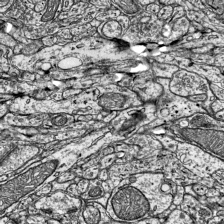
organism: Mouse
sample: Visual Cortex